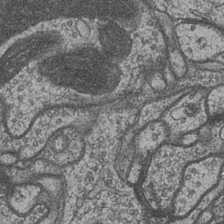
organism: Drosophila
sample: Optic medulla